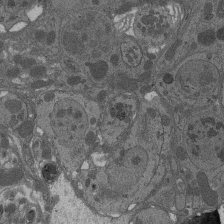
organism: Drosophila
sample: Antenna